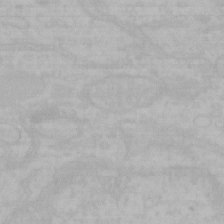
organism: Mouse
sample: Choroid plexus